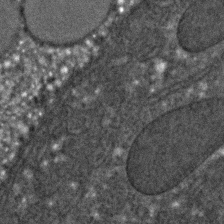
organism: C. elegans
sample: C. elegans embryo